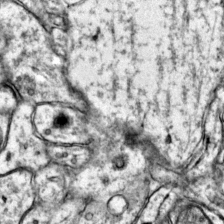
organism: Mouse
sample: Primary visual cortex